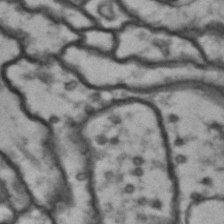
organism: Drosophila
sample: Brain